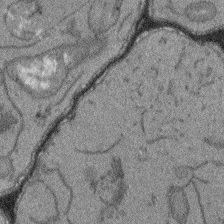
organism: Arabidopsis thaliana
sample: Root tip